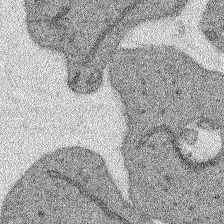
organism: Human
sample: HeLa cells